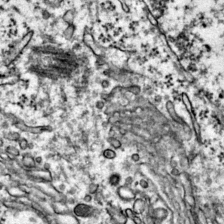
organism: Mouse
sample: Primary visual cortex